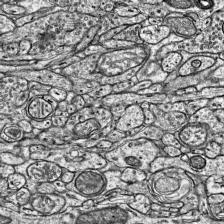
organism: Mouse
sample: Visual Cortex